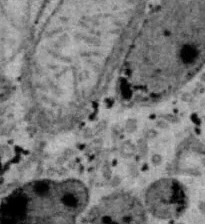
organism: Mouse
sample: Liver from an obese (ob/ob) mouse